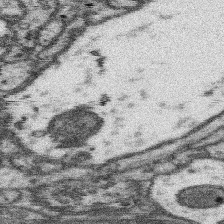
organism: Mouse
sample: Somatosensory cortex neuropil